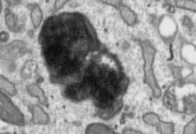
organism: Toxoplasma gondii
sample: Parasites in a vacuole inside a host cell